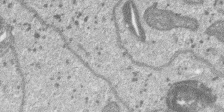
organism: Human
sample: Lung epithelial cells infected with SARS-CoV-2